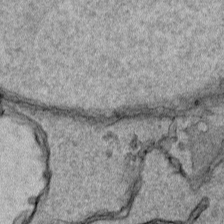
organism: Human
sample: Mitochondria in HCT116 cells